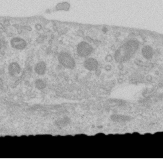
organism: Human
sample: Centriole in RPE cells